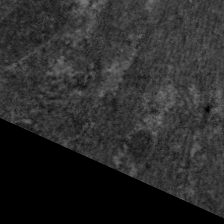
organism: C. elegans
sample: Pharynx